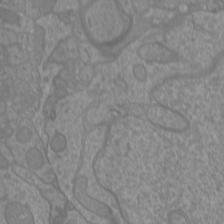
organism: Mouse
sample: Cortical neurons